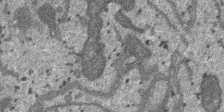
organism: Human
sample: Lung epithelial cells infected with SARS-CoV-2